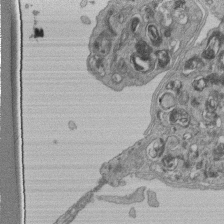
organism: Human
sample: Retinal organoid Rod and Cone cells